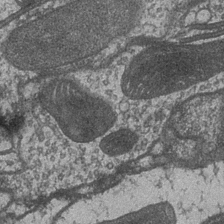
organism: Drosophila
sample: Optic medulla